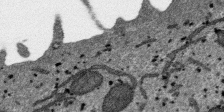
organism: Human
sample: Lung epithelial cells, uninfected (mock) control